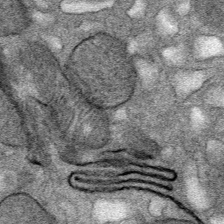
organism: Mouse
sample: Mouse Salivary gland